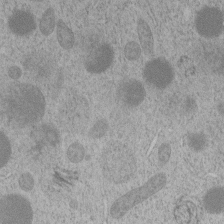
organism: C. elegans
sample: C. elegans embryo early stage